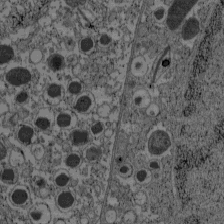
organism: C57BL Mouse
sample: Pancreatic islet